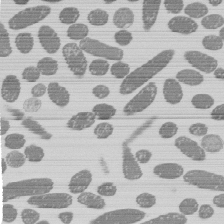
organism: E. coli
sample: Bacterial nucleoid